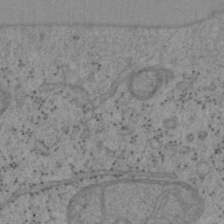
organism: Human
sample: HeLa cells